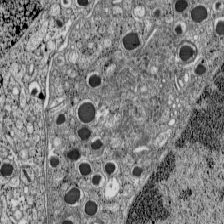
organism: C57BL Mouse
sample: Pancreatic islet